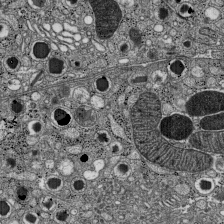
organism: C57BL Mouse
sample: Pancreatic islet